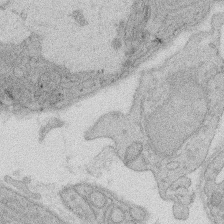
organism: Rat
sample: Salivary granule